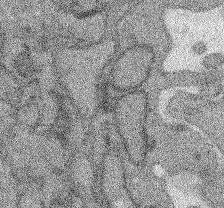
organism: Human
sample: HeLa cells